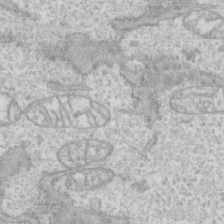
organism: Human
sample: CRL-1474